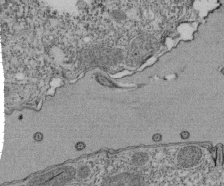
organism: Tetrahymena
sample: Cilia in tetrahymena